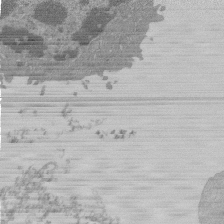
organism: Mouse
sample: Activated Pmel transgenic CD8+ T Cells